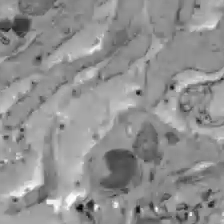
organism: C57BL Mouse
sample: Liver